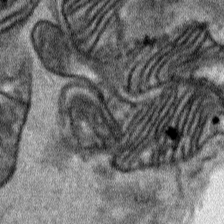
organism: Human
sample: Mitochondria in HCT116 cells